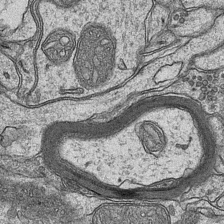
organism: Mouse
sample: CA1 Hippocampus